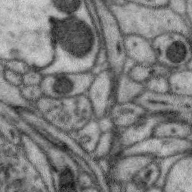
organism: Zebra finch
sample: Brain